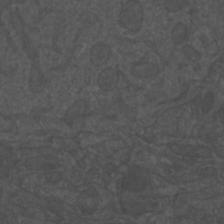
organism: Mouse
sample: Cortical neurons